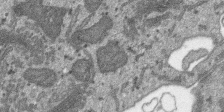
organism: Human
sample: Lung epithelial cells infected with SARS-CoV-2